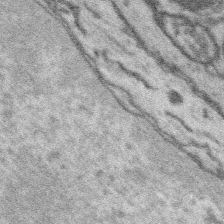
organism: Platynereis dumerilii